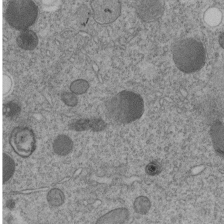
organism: C. elegans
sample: C. elegans embryo early stage